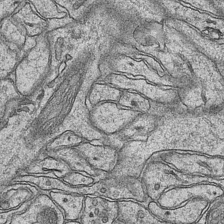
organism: Mouse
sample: CA1 Hippocampus